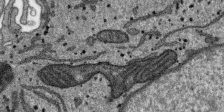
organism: Human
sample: Lung epithelial cells, uninfected (mock) control